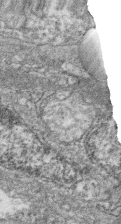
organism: Zebrafish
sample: Cilia; retinal pigment epithelium